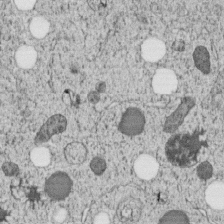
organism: C. elegans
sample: C. elegans embryo early stage